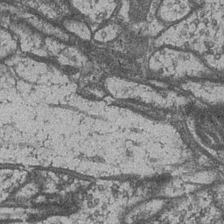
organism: Drosophila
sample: Optic medulla